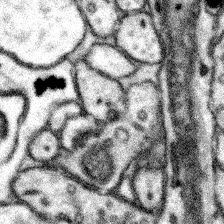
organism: Mouse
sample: Somatosensory cortex neuropil